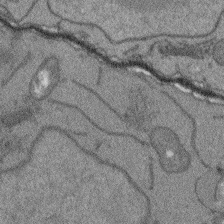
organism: Arabidopsis thaliana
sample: Root tip